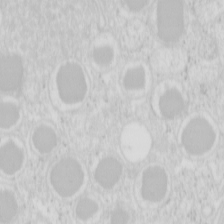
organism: Mouse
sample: Pancreas